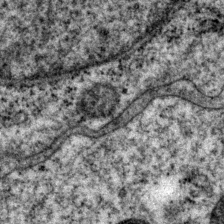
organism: P. pacificus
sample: Pharynx